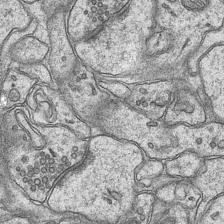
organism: Mouse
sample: CA1 Hippocampus